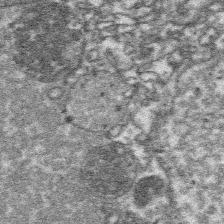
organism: Platynereis dumerilii